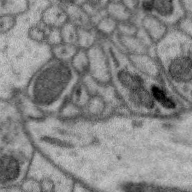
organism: Zebra finch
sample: Brain